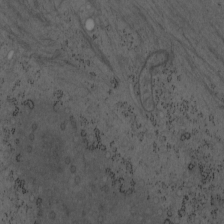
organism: Mouse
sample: OT-I killer T cells with ID8 ovarian cancer cells